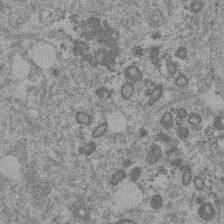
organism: Mouse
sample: Dividing mouse embryo 1 cell stage